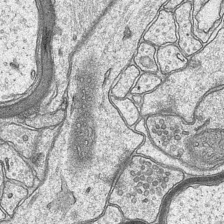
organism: Mouse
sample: CA1 Hippocampus